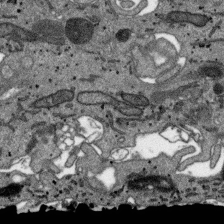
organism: Human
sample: Lung epithelial cells, uninfected (mock) control